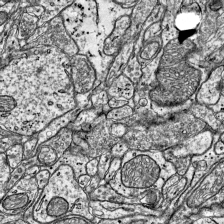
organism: Mouse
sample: Visual Cortex